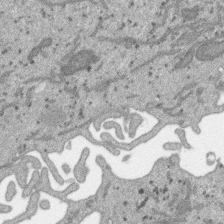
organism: Human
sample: Lung epithelial cells infected with SARS-CoV-2